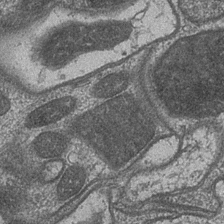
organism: Drosophila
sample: Optic medulla